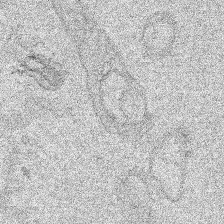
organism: Human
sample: Mitochondria in HCT116 cells